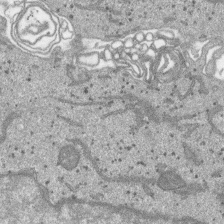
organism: Human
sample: Lung epithelial cells infected with SARS-CoV-2